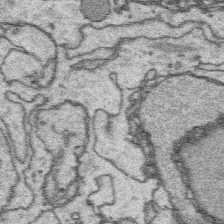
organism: Platynereis dumerilii